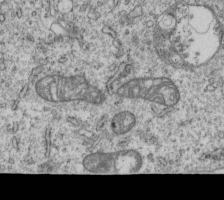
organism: Human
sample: MDA-MB-231 cells